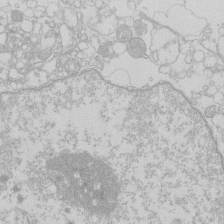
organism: Human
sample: Macrophage cells